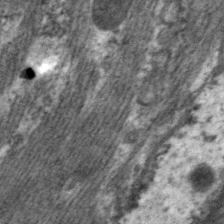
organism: C. elegans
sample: Pharynx